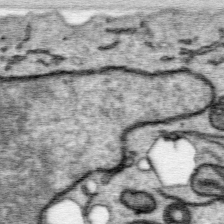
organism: Human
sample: HeLa cells